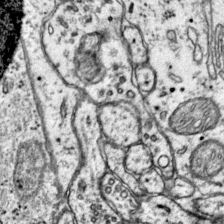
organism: Mouse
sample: Primary visual cortex